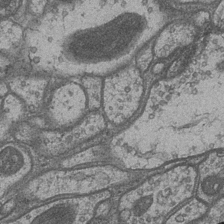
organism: Drosophila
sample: Optic medulla